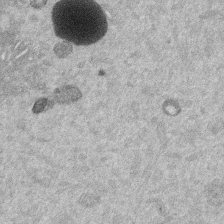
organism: Mouse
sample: Dividing mouse embryo 1 cell stage